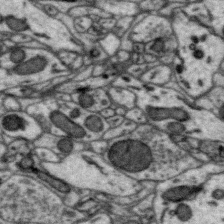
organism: Zebra finch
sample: Brain